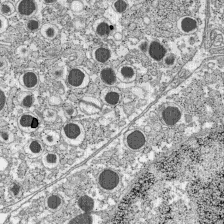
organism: C57BL Mouse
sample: Pancreatic islet